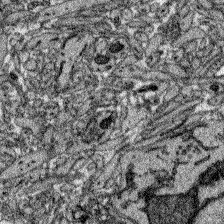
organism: Zebrafish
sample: Larval olfactory bulb